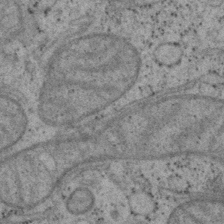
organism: Human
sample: HeLa cells